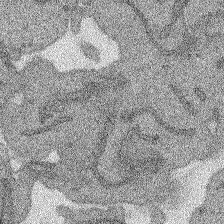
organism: Human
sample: HeLa cells